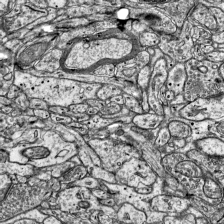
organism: Mouse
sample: Visual Cortex